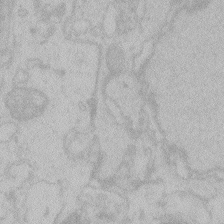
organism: Zebrafish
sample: Macrophage infected with Toxoplasma gondii